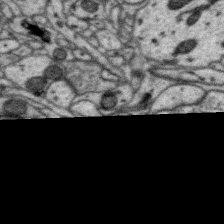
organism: Zebra finch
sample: Brain